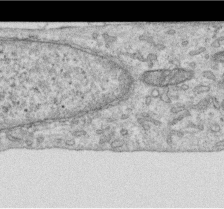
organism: Human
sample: Centriole in RPE cells